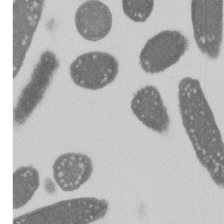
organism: E. coli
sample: Bacterial nucleoid